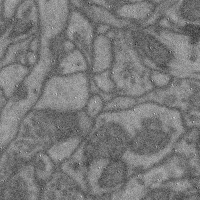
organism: Mouse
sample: Cerebral cortex